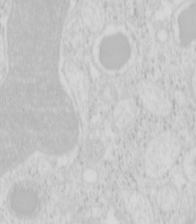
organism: Mouse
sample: Pancreas